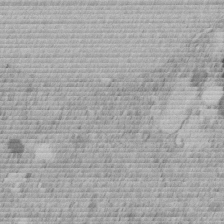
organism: C. elegans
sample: C. elegans embryo early stage